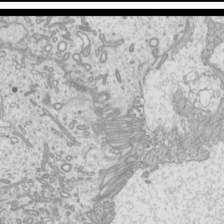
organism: Mouse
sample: Cilia; mouse epididymis